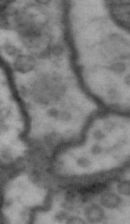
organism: Drosophila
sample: Brain